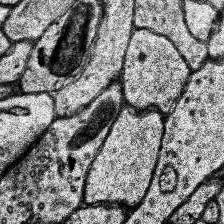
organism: Human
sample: Temporal Lobe